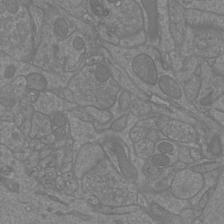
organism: Mouse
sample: Cortical neurons